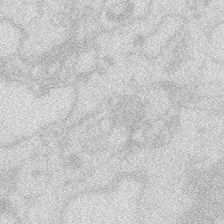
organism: Zebrafish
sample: Macrophage